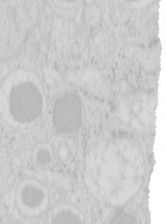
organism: Mouse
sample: Pancreas